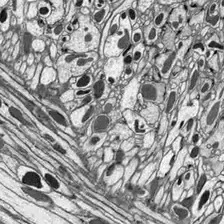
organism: Drosophila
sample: Optic lobe